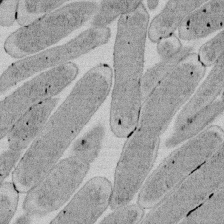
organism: E. coli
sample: Bacterial nucleoid